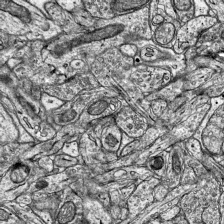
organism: Mouse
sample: Visual Cortex